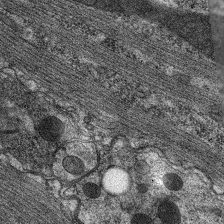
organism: C. elegans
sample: Pharynx